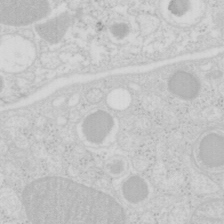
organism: Mouse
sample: Pancreas